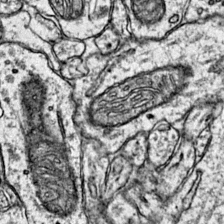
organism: Mouse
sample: Primary visual cortex